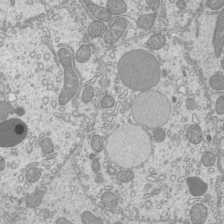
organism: Mouse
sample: Cilia; mouse epididymis